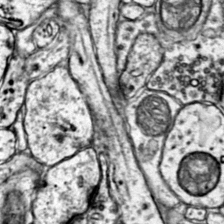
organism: Mouse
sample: Primary visual cortex